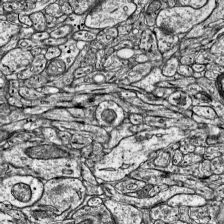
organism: Mouse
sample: Visual Cortex